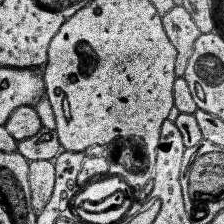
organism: Human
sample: Temporal Lobe